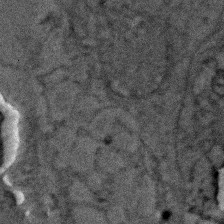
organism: Zebrafish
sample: Zebrafish embryo